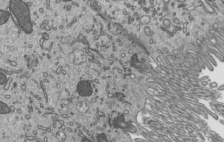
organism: Mouse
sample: Mouse epididymis efferent ductule cilia